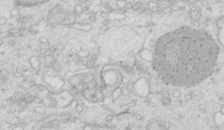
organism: Mouse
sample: Multiciliated cells